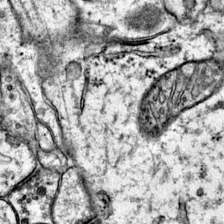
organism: Mouse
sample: Primary visual cortex